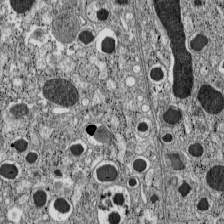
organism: C57BL Mouse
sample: Pancreatic islet